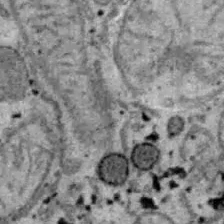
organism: Mouse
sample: Liver from an obese (ob/ob) mouse